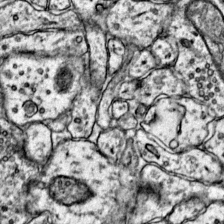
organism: Mouse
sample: Primary visual cortex